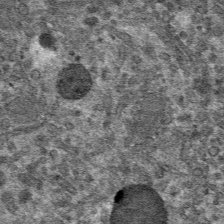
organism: Mouse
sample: Mouse hepatocytes